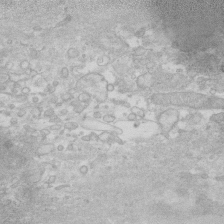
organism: Human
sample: Fibroblast cells